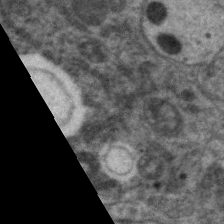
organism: C. elegans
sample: Pharynx